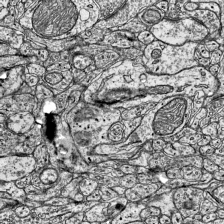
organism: Mouse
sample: Visual Cortex